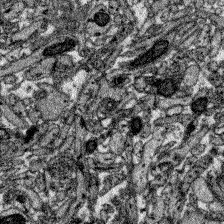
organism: Zebrafish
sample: Larval olfactory bulb